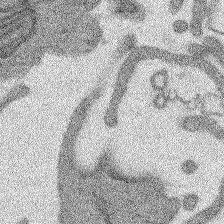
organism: Human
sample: HeLa cells